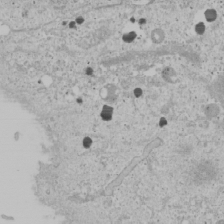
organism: Human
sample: Mitochondria in U2OS cells